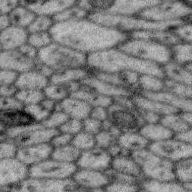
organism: Zebra finch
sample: Brain